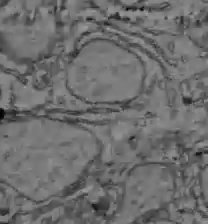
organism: C57BL Mouse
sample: Liver